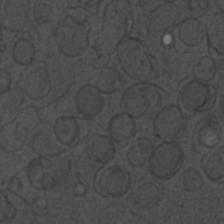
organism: C. elegans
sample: C. elegans embryo